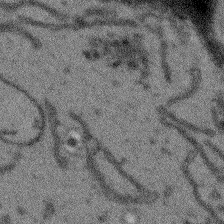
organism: Arabidopsis thaliana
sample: Root tip